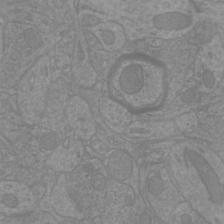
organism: Mouse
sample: Cortical neurons